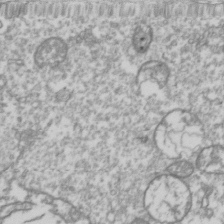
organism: Drosophila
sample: Cell division; meiosis; drosophila spermatocytes